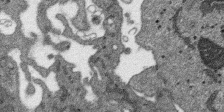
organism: Human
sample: Lung epithelial cells infected with SARS-CoV-2